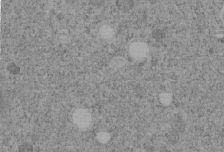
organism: C. elegans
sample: C. elegans embryo early stage